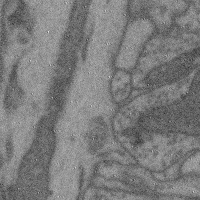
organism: Mouse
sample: Cerebral cortex